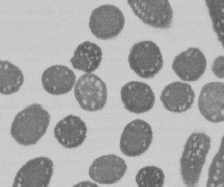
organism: E. coli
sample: Bacterial nucleoid